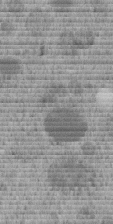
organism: C. elegans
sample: C. elegans embryo early stage